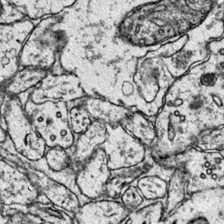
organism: Mouse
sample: Primary visual cortex